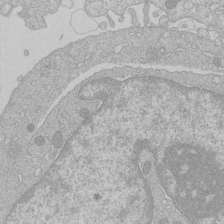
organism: Human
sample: Macrophage cells